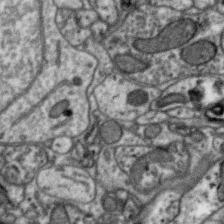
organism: Zebra finch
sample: Brain